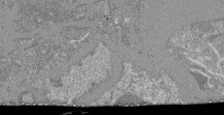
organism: Mouse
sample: Glomerulus